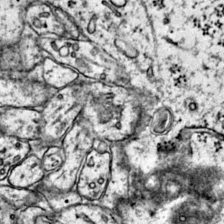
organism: Mouse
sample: Primary visual cortex